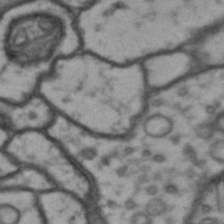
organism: Drosophila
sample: Brain